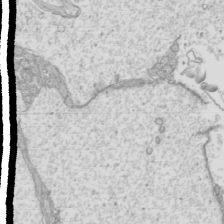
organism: Mouse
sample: Cilia; mouse epididymis